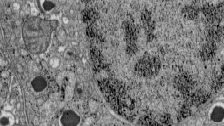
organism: C57BL Mouse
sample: Pancreatic islet